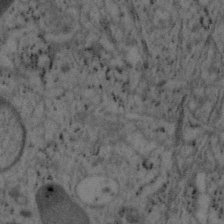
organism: Human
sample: HeLa cells